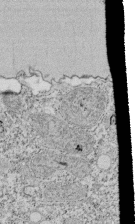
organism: Tetrahymena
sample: Cilia in tetrahymena